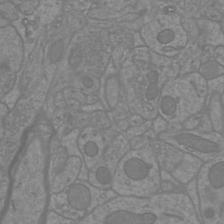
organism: Mouse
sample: Cortical neurons